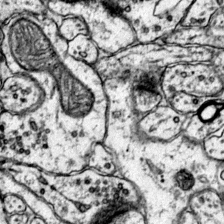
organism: Mouse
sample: Primary visual cortex